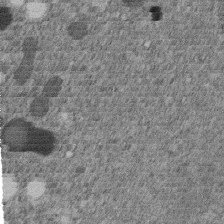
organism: C. elegans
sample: C. elegans embryo early stage